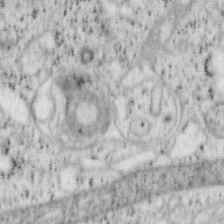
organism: Mouse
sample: OT-I killer T cells with ID8 ovarian cancer cells